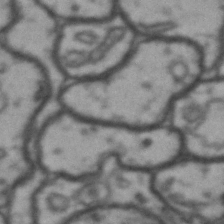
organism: Drosophila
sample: Brain